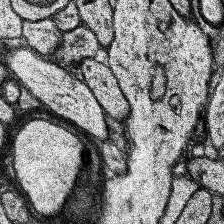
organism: Human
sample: Temporal Lobe